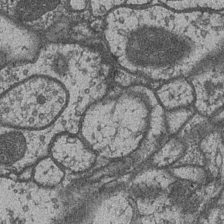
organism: Drosophila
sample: Optic medulla